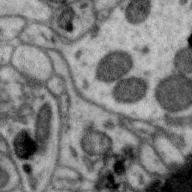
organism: Zebra finch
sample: Brain